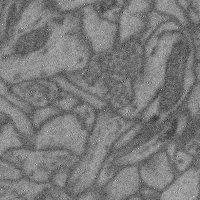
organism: Mouse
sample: Cerebral cortex